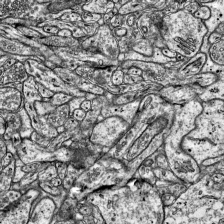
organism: Mouse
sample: Visual Cortex